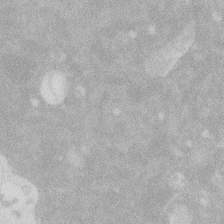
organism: Zebrafish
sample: Macrophage